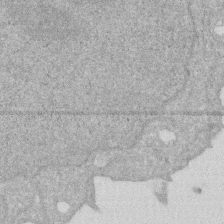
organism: Human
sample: HIV infected U937 cells